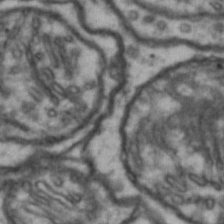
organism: Drosophila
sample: Brain